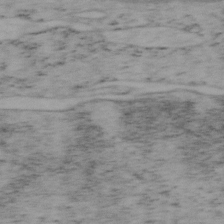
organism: Mouse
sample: OT-I killer T cells with ID8 ovarian cancer cells